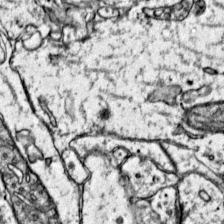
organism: Mouse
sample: Primary visual cortex